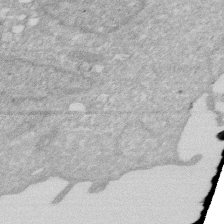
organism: Human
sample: HIV infected U937 cells